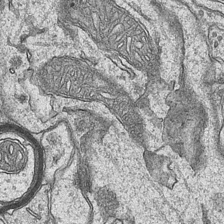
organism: Mouse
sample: CA1 Hippocampus